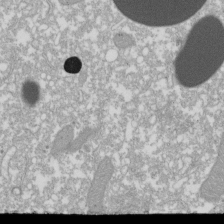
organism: Xenopus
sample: Cilia; centrioles in frog embryo cells